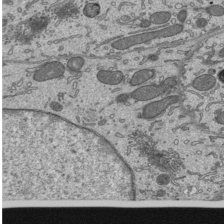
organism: Mouse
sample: Mouse epididymis efferent ductule cilia